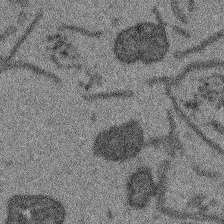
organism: Arabidopsis thaliana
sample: Root tip